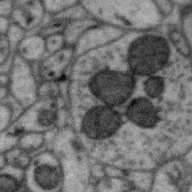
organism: Zebra finch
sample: Brain